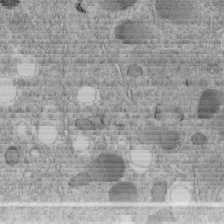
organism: C. elegans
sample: C. elegans embryo early stage